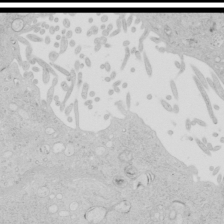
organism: Human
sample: Mitochondria in HCT116 cells